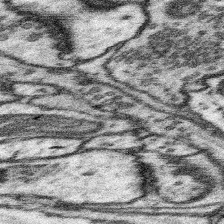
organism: Mouse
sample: Somatosensory cortex neuropil